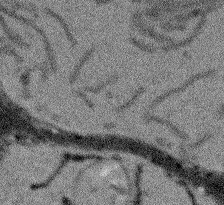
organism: Arabidopsis thaliana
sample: Root tip